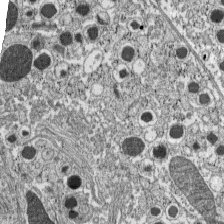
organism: C57BL Mouse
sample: Pancreatic islet